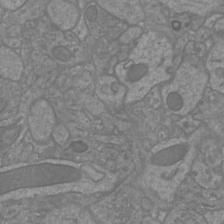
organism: Mouse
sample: Cortical neurons